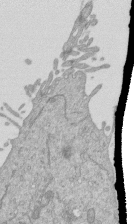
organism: Mouse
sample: ED-1 cell nuclei; centrioles